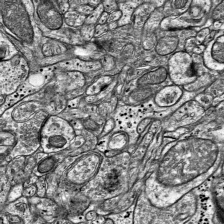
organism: Mouse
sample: Visual Cortex